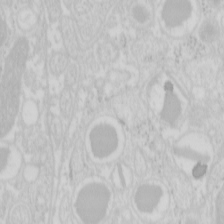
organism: Mouse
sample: Pancreas